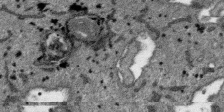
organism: Human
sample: Lung epithelial cells, uninfected (mock) control